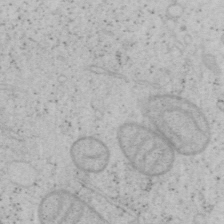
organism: Human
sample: HeLa cells